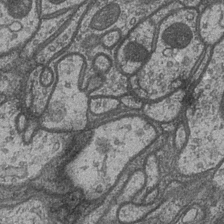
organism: Drosophila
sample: Optic medulla